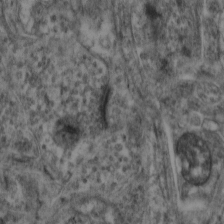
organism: Mouse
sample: Neocortex